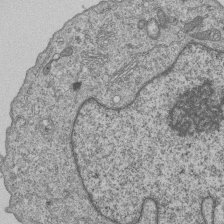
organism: Human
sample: MDA-MB-231 cells